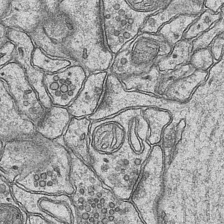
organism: Mouse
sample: CA1 Hippocampus